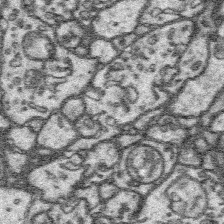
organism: Platynereis dumerilii